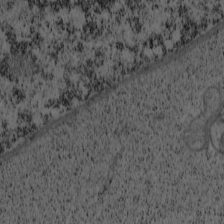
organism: African green monkey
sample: COS-7 cells